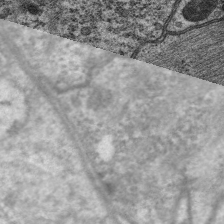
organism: C. elegans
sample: Pharynx